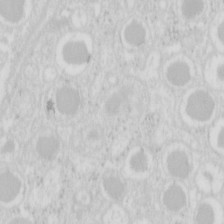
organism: Mouse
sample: Pancreas